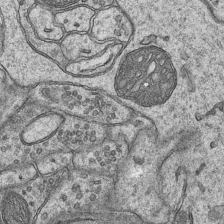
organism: Mouse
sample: CA1 Hippocampus